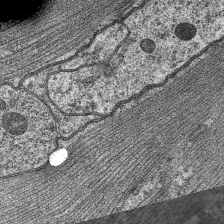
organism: C. elegans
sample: Pharynx